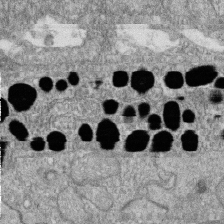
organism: Zebrafish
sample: Cilia; retinal pigment epithelium